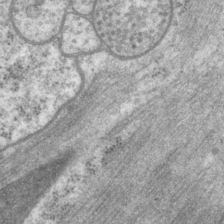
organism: P. pacificus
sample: Pharynx